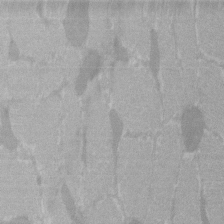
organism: C57BL Mouse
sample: Tibialis anterior muscle cell